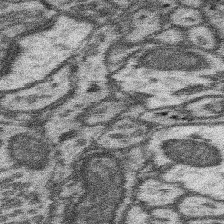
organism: Mouse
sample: Somatosensory cortex neuropil